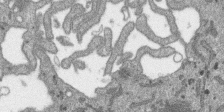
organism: Human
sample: Lung epithelial cells infected with SARS-CoV-2